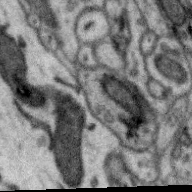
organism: Zebra finch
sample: Brain